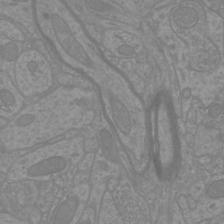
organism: Mouse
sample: Cortical neurons